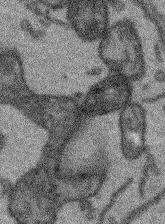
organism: Arabidopsis thaliana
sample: Root tip